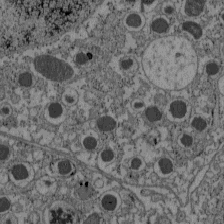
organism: C57BL Mouse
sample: Pancreatic islet